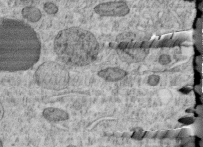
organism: C. elegans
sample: C. elegans embryo early stage